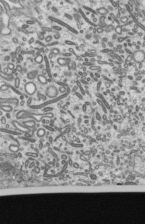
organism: Mouse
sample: Mouse epididymis efferent ductule cilia